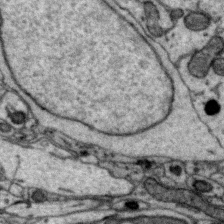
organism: Zebra finch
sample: Brain